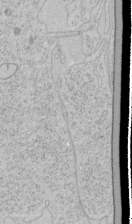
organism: Human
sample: Mitochondria in HCT116 cells